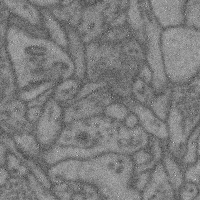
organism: Mouse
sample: Cerebral cortex